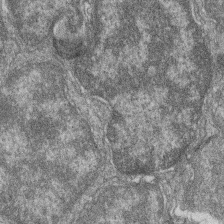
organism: Zebrafish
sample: Cilia; retinal pigment epithelium